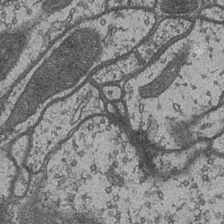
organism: Drosophila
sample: Optic medulla